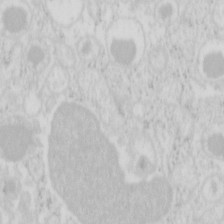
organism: Mouse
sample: Pancreas